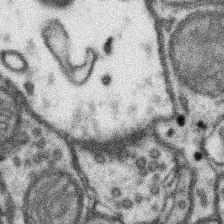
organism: Mouse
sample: Somatosensory cortex neuropil